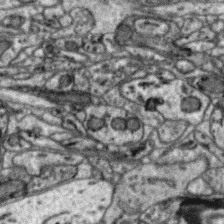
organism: Zebra finch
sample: Brain